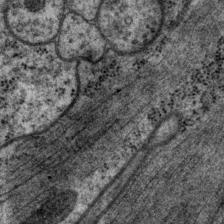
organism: P. pacificus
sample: Pharynx